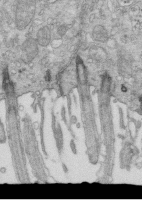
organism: Mouse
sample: Multiciliated cells